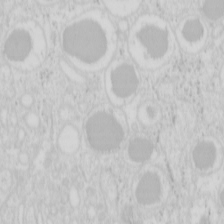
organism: Mouse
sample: Pancreas